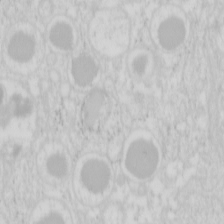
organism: Mouse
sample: Pancreas